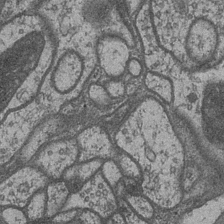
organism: Drosophila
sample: Optic medulla